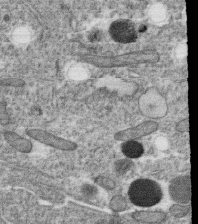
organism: C. elegans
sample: C. elegans oocyte; sperm cells